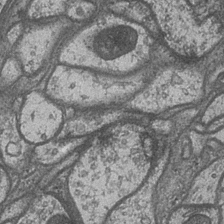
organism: Drosophila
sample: Optic medulla